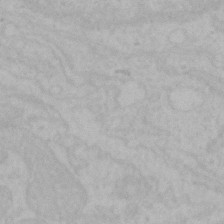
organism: Mouse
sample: Choroid plexus